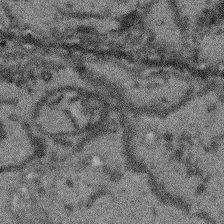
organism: Arabidopsis thaliana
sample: Root tip